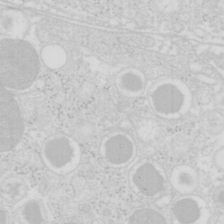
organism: Mouse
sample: Pancreas